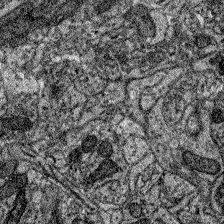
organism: Zebrafish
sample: Larval olfactory bulb